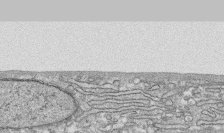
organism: Human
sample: CRL-1474